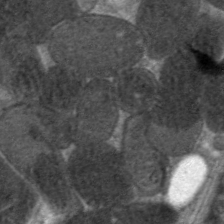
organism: C. elegans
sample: Pharynx